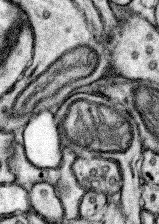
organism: Mouse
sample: Somatosensory cortex neuropil